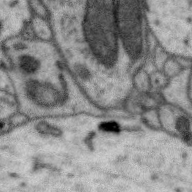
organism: Zebra finch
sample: Brain